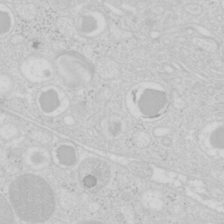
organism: Mouse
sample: Pancreas